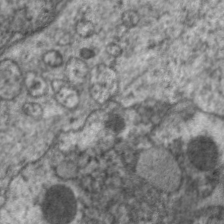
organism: C. elegans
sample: Pharynx